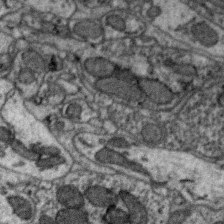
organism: Zebra finch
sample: Brain